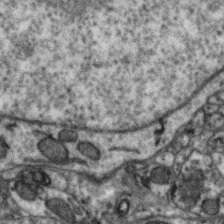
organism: Zebra finch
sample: Brain